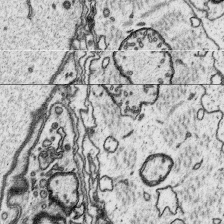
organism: Platynereis dumerilii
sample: Parapodia